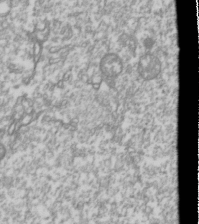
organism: Drosophila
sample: Cell division; meiosis; drosophila spermatocytes